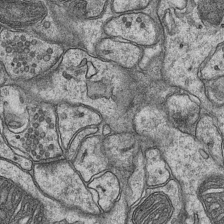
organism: Mouse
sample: CA1 Hippocampus